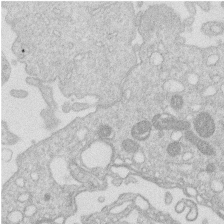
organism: Human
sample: Macrophage cells